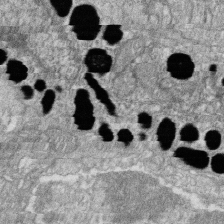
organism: Zebrafish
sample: Cilia; retinal pigment epithelium